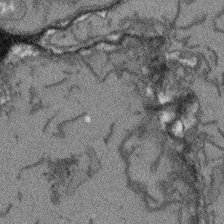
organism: Arabidopsis thaliana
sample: Root tip